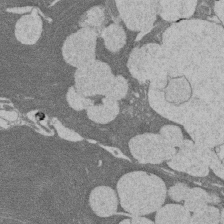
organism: Rat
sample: Salivary granule